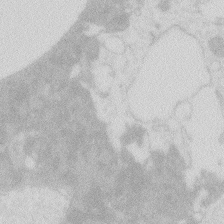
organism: Zebrafish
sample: Macrophage